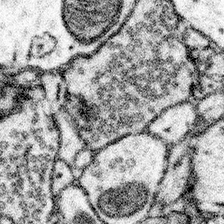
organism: Mouse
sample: Somatosensory cortex neuropil